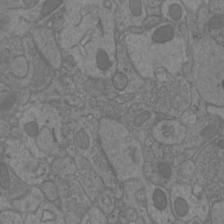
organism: Mouse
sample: Cortical neurons